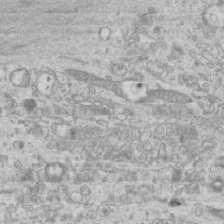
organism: Mouse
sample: Centriole in ependymal cells